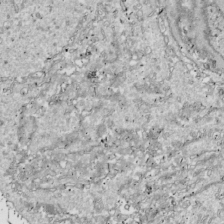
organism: Drosophila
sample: Cell division; meiosis; drosophila spermatocytes